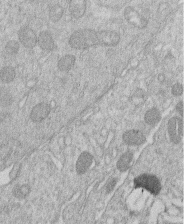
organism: Human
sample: Macrophage cells